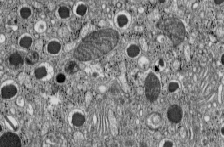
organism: C57BL Mouse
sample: Pancreatic islet